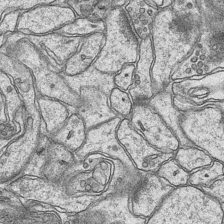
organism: Mouse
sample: CA1 Hippocampus